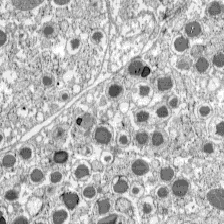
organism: C57BL Mouse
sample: Pancreatic islet